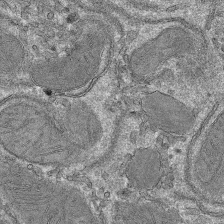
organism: Mouse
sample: Mouse hepatocytes